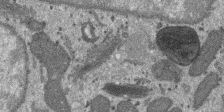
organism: Human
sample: Lung epithelial cells infected with SARS-CoV-2